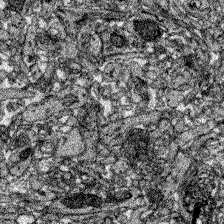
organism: Zebrafish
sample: Larval olfactory bulb